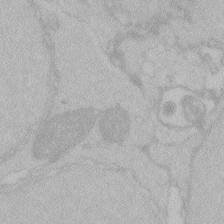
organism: Zebrafish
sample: Macrophage infected with Toxoplasma gondii